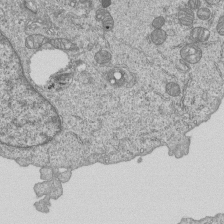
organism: Human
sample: MDA-MB-231 cells